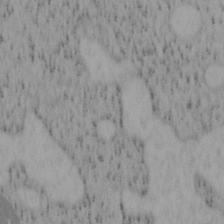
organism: Mouse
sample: OT-I killer T cells with ID8 ovarian cancer cells